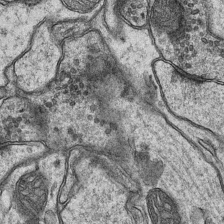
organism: Mouse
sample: CA1 Hippocampus